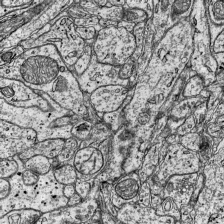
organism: Mouse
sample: Visual Cortex